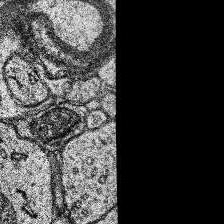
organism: Human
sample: Temporal Lobe